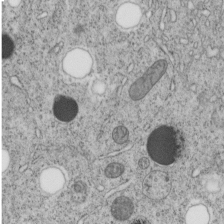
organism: C. elegans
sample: C. elegans embryo early stage